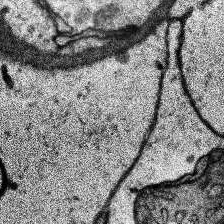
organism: Human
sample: Temporal Lobe